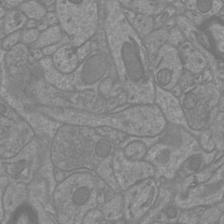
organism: Mouse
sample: Cortical neurons